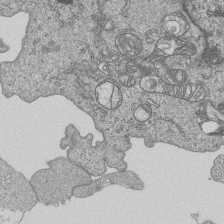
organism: Human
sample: MDA-MB-231 cells